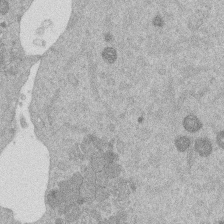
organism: Mouse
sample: Dividing mouse embryo 1 cell stage